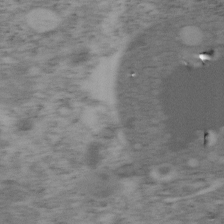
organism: Mouse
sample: OT-I killer T cells with ID8 ovarian cancer cells